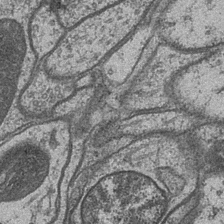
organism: Drosophila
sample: Optic medulla